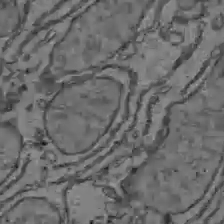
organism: C57BL Mouse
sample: Liver